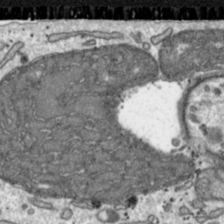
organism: Toxoplasma gondii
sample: Parasites in a vacuole inside a host cell